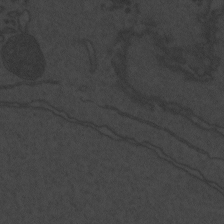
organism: Zebrafish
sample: Macrophage infected with Toxoplasma gondii